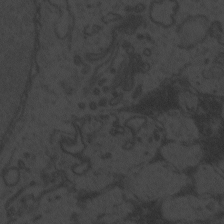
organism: Zebrafish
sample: Macrophage infected with Toxoplasma gondii